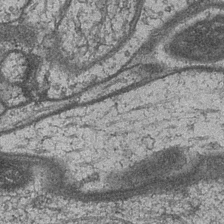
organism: Drosophila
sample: Optic medulla